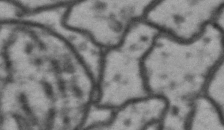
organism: Drosophila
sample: Brain